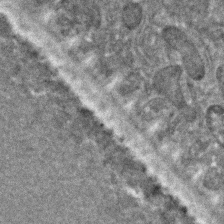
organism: C. elegans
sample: C. elegans embryo